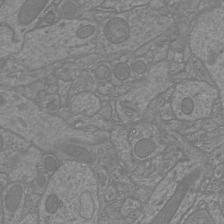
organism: Mouse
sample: Cortical neurons